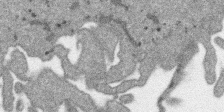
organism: Human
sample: Lung epithelial cells infected with SARS-CoV-2